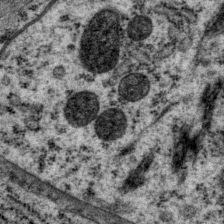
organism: P. pacificus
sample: Pharynx